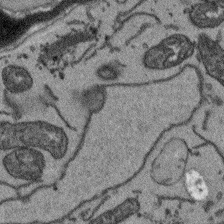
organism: Arabidopsis thaliana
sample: Root tip